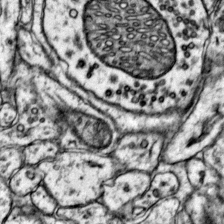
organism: Mouse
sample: Primary visual cortex